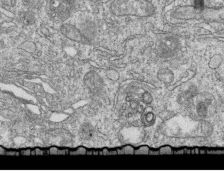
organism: Human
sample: HeLa cell HIV synapse